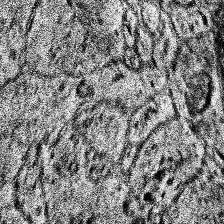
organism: Human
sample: Temporal Lobe